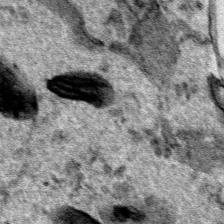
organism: Human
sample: Mitochondria in HCT116 cells